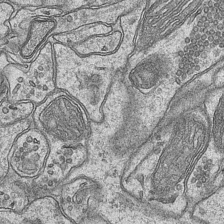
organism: Mouse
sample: CA1 Hippocampus